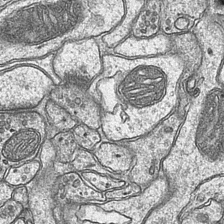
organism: Mouse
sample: CA1 Hippocampus